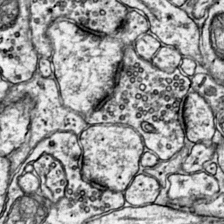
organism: Mouse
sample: Primary visual cortex